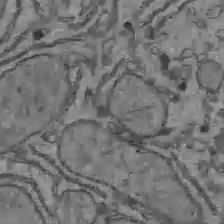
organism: C57BL Mouse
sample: Liver